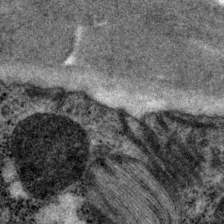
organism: P. pacificus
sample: Pharynx